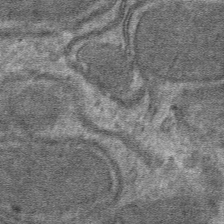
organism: Mouse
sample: Mouse hepatocytes